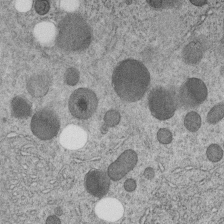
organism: C. elegans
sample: C. elegans embryo early stage